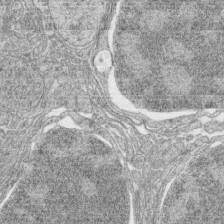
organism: Zebrafish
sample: synaptic ribbons in rod cells and cone cells